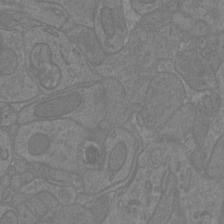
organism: Mouse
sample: Cortical neurons